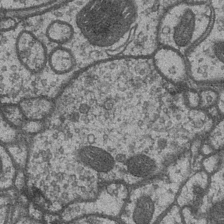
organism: Drosophila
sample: Optic medulla